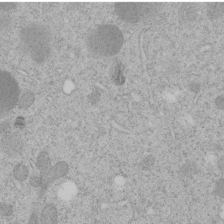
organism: C. elegans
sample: C. elegans embryo early stage